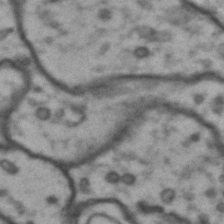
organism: Drosophila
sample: Brain